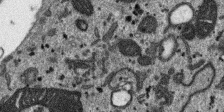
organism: Human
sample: Lung epithelial cells infected with SARS-CoV-2